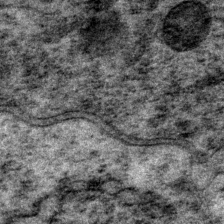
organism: P. pacificus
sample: Pharynx